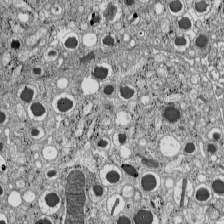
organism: C57BL Mouse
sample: Pancreatic islet